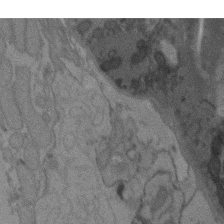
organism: C. elegans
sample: AFD neurons C. elegans